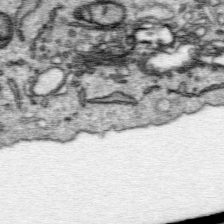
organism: Human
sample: HeLa cells